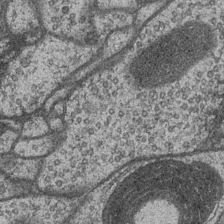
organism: Drosophila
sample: Optic medulla